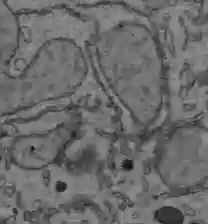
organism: C57BL Mouse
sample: Liver